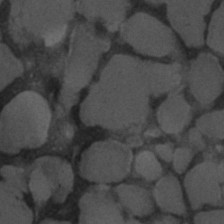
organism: C. elegans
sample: C. elegans embryo